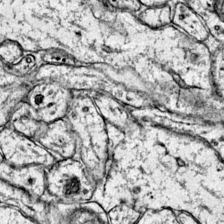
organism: Mouse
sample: Primary visual cortex